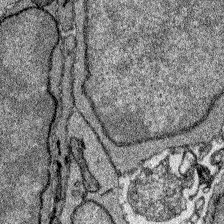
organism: Zebrafish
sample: Larval olfactory bulb